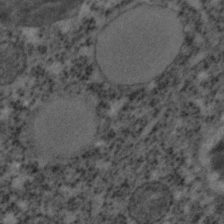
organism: C. elegans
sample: C. elegans embryo